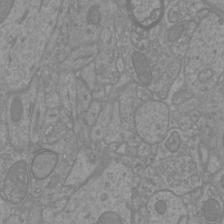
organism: Mouse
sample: Cortical neurons